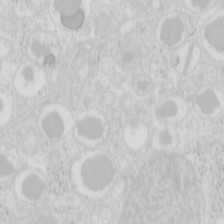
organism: Mouse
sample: Pancreas